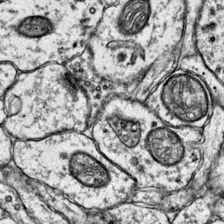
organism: Mouse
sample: Primary visual cortex